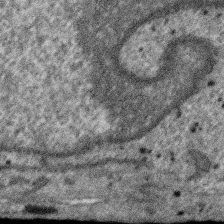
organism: Human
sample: Lung epithelial cells infected with SARS-CoV-2